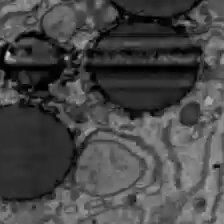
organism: C57BL Mouse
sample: Liver